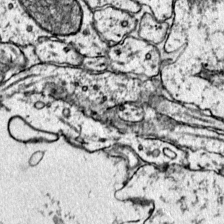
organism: Mouse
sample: Primary visual cortex